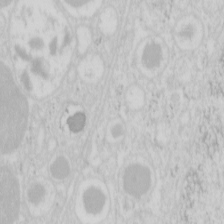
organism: Mouse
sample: Pancreas